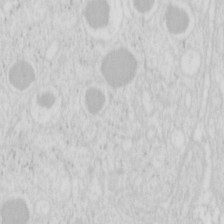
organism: Mouse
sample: Pancreas